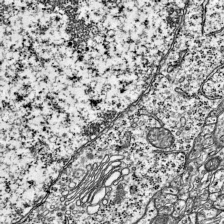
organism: Mouse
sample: Visual Cortex